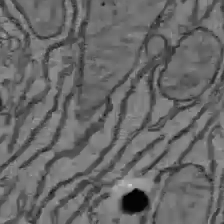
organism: C57BL Mouse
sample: Liver